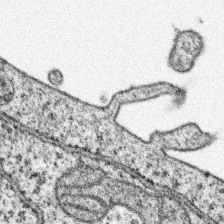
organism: Human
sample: HeLa cells